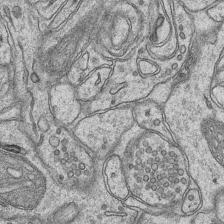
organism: Mouse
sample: CA1 Hippocampus